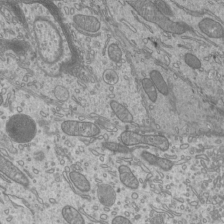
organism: Mouse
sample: Cilia; mouse epididymis